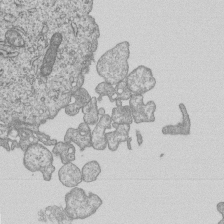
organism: Human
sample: MDA-MB-231 cells